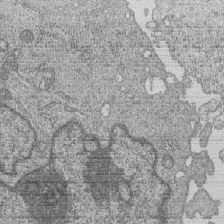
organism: Human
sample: MDA-MB-231 cells